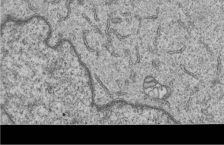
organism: Human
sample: MDA-MB-231 cells